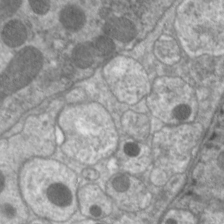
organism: C. elegans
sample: Pharynx